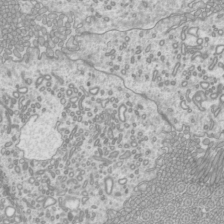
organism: Mouse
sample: Cilia; mouse epididymis